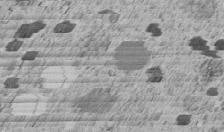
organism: C. elegans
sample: C. elegans embryo early stage